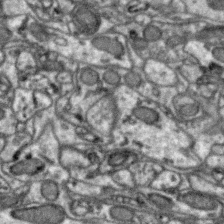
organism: Zebra finch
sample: Brain